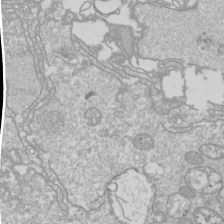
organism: Drosophila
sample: Cell division; meiosis; drosophila spermatocytes